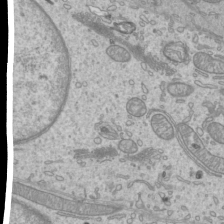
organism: Mouse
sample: Cilia; mouse epididymis